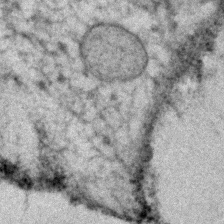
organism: Human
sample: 1205lu cells